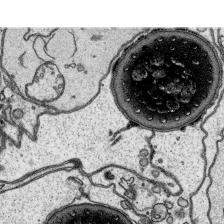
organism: Platynereis dumerilii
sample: Parapodia